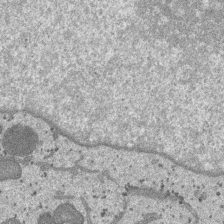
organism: Human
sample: Lung epithelial cells infected with SARS-CoV-2